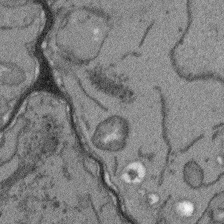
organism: Arabidopsis thaliana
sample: Root tip